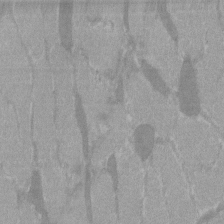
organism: C57BL Mouse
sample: Tibialis anterior muscle cell